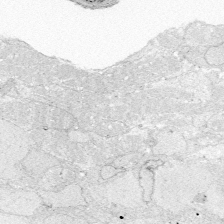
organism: Zebrafish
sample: Whole-Brain